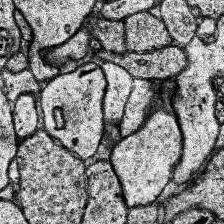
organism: Human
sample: Temporal Lobe